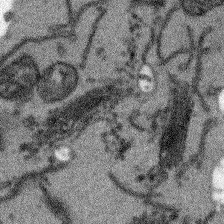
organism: Arabidopsis thaliana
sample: Root tip